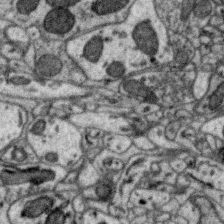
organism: Zebra finch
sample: Brain